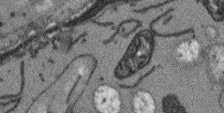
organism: Arabidopsis thaliana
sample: Root tip